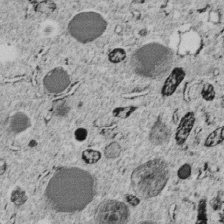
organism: C. elegans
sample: C. elegans embryo early stage